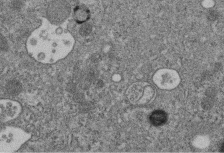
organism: C. elegans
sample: C. elegans embryo early stage